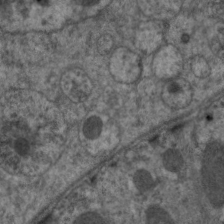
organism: C. elegans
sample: Pharynx